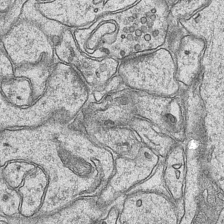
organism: Mouse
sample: CA1 Hippocampus